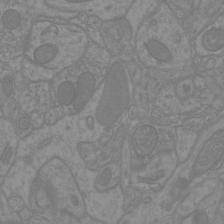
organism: Mouse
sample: Cortical neurons